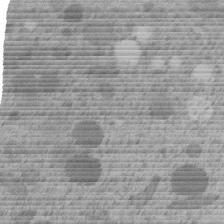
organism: C. elegans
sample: C. elegans embryo early stage